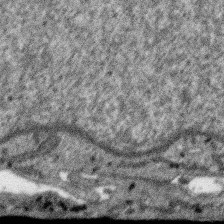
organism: Human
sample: Lung epithelial cells infected with SARS-CoV-2